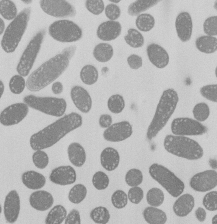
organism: E. coli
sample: Bacterial nucleoid